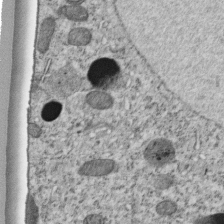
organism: C. elegans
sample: C. elegans embryo early stage